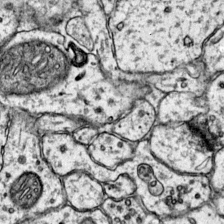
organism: Mouse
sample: Primary visual cortex